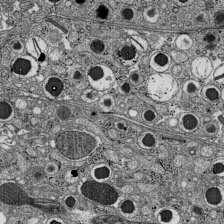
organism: C57BL Mouse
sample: Pancreatic islet